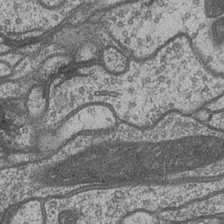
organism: Drosophila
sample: Optic medulla